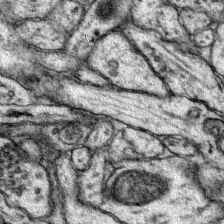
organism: Mouse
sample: Primary visual cortex